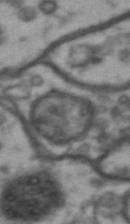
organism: Drosophila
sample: Brain